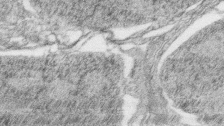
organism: Zebrafish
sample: synaptic ribbons in rod cells and cone cells